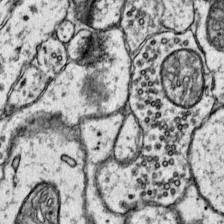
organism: Mouse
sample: Primary visual cortex